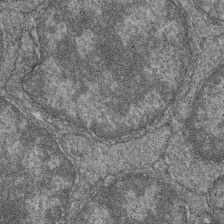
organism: Zebrafish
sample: Cilia; retinal pigment epithelium